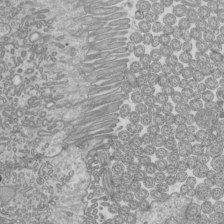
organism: Mouse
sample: Cilia; mouse epididymis